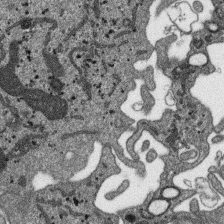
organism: Human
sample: Lung epithelial cells infected with SARS-CoV-2